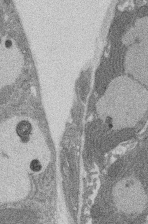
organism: Rat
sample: Salivary granule